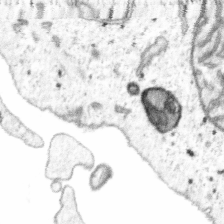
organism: Human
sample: HeLa cells